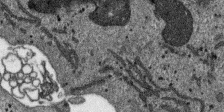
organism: Human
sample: Lung epithelial cells infected with SARS-CoV-2